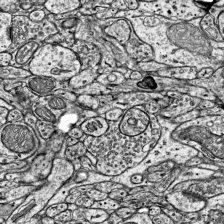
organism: Mouse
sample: Visual Cortex